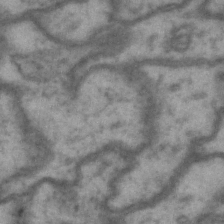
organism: Drosophila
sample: Brain